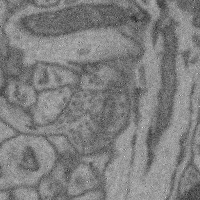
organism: Mouse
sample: Cerebral cortex